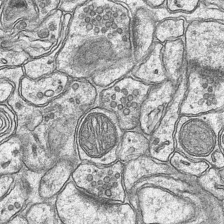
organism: Mouse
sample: CA1 Hippocampus